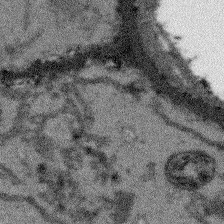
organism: Arabidopsis thaliana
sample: Root tip